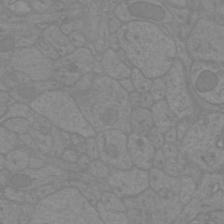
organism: Mouse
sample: Cortical neurons